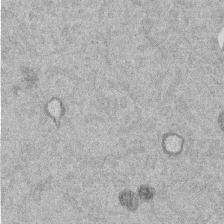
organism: Mouse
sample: Dividing mouse embryo 1 cell stage